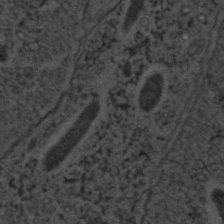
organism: C. elegans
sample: C. elegans embryo